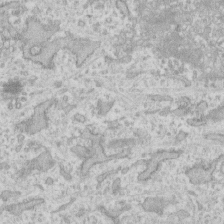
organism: Human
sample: Fibroblast cells